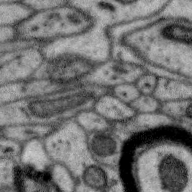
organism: Zebra finch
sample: Brain